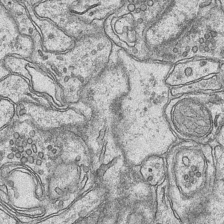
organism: Mouse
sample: CA1 Hippocampus